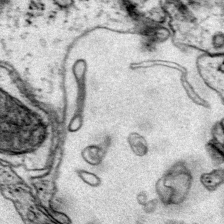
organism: Mouse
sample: Primary visual cortex